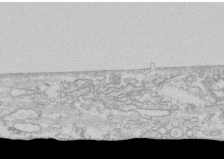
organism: Human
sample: CRL-1474